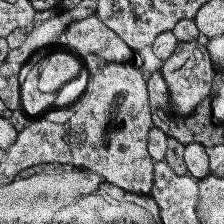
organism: Human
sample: Temporal Lobe